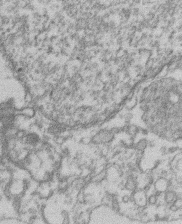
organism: Mouse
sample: T cell stromal cell synapse